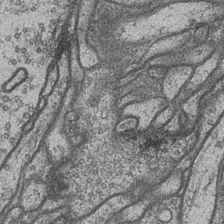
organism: Drosophila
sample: Optic medulla